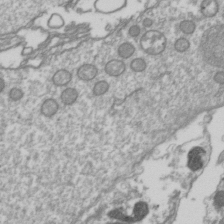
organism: Drosophila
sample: Cell division; meiosis; drosophila spermatocytes